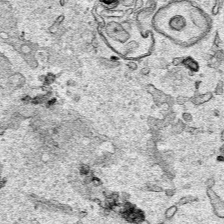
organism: Human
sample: Mitochondria in HCT116 cells